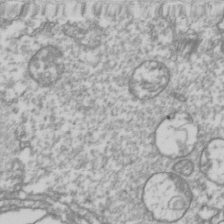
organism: Drosophila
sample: Cell division; meiosis; drosophila spermatocytes